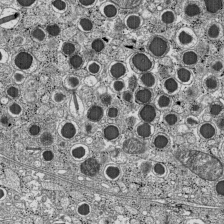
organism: C57BL Mouse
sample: Pancreatic islet